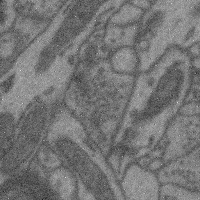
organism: Mouse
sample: Cerebral cortex